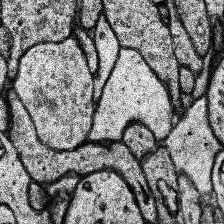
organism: Human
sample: Temporal Lobe